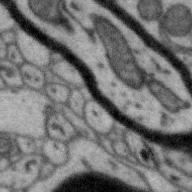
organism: Zebra finch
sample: Brain